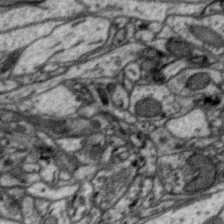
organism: Zebra finch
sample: Brain